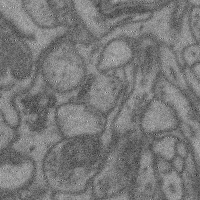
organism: Mouse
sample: Cerebral cortex